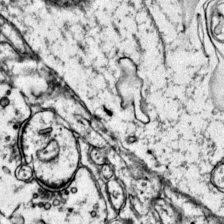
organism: Mouse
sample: Primary visual cortex